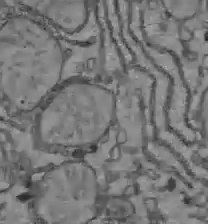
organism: C57BL Mouse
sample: Liver